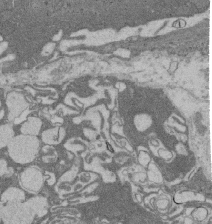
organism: Rat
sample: Salivary granule